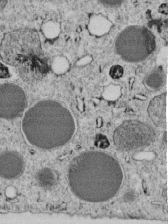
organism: C. elegans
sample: C. elegans embryo early stage